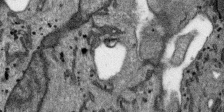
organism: Human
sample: Lung epithelial cells, uninfected (mock) control